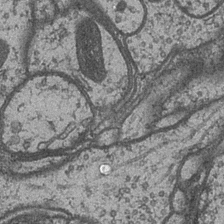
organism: Drosophila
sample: Optic medulla